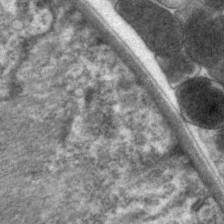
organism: C. elegans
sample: Pharynx